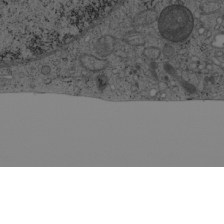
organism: African green monkey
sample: COS-7 cells